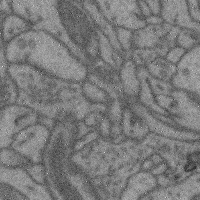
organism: Mouse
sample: Cerebral cortex